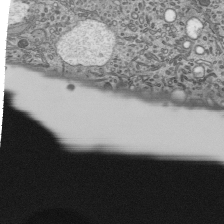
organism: Mouse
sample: Mouse epididymis efferent ductule cilia